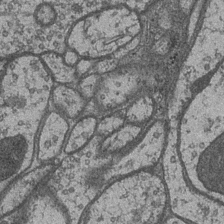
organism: Drosophila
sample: Optic medulla